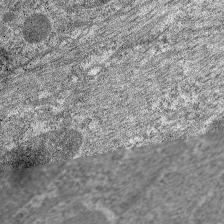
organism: C. elegans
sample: Pharynx